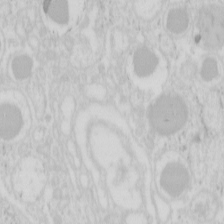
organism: Mouse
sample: Pancreas